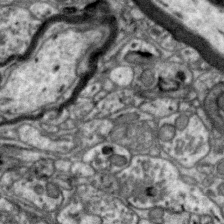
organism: Zebra finch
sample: Brain